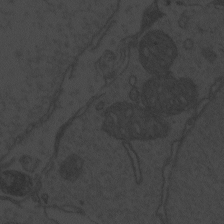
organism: Zebrafish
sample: Macrophage infected with Toxoplasma gondii